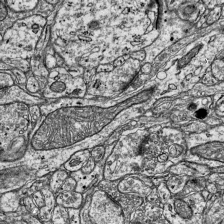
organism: Mouse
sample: Visual Cortex